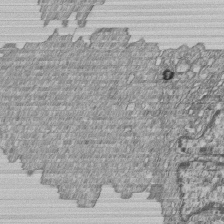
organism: Human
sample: MDA-MB-231 cells